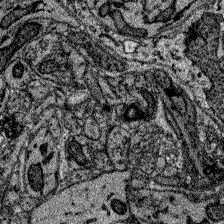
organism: Zebrafish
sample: Larval olfactory bulb